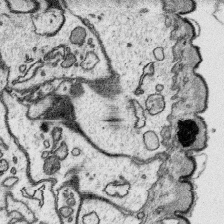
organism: Platynereis dumerilii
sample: Parapodia